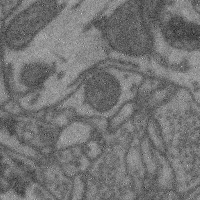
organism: Mouse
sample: Cerebral cortex